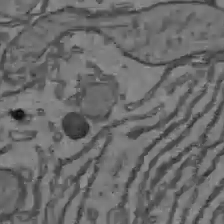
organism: C57BL Mouse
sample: Liver